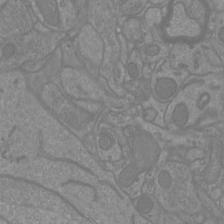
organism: Mouse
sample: Cortical neurons